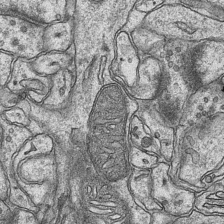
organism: Mouse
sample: CA1 Hippocampus